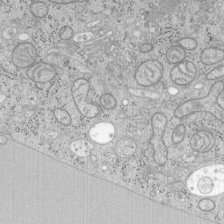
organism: Mouse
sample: OT-I killer T cells with ID8 ovarian cancer cells